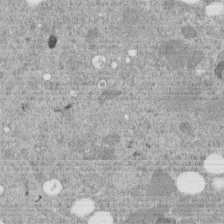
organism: C. elegans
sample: C. elegans embryo early stage